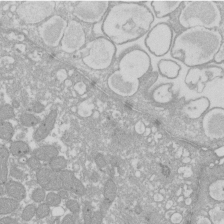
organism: Xenopus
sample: Cilia; centrioles in frog embryo cells